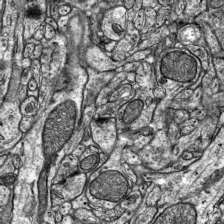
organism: Mouse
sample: Visual Cortex